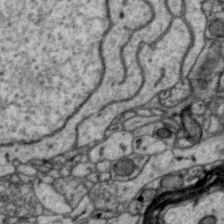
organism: Zebra finch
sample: Brain